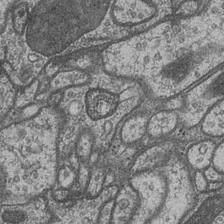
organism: Drosophila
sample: Optic medulla